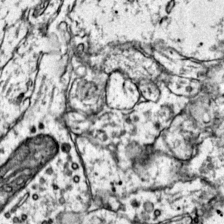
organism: Mouse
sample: Primary visual cortex